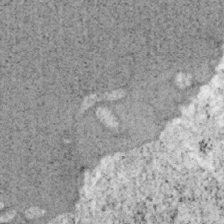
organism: Mouse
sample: OT-I killer T cells with ID8 ovarian cancer cells